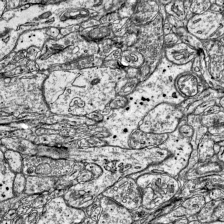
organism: Mouse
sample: Visual Cortex